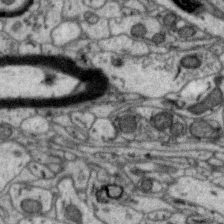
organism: Zebra finch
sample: Brain